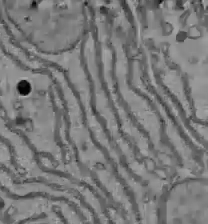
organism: C57BL Mouse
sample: Liver